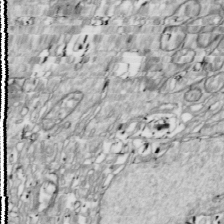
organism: Drosophila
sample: Cell division; meiosis; drosophila spermatocytes